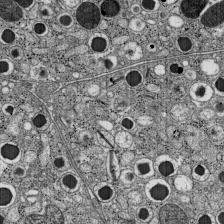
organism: C57BL Mouse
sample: Pancreatic islet